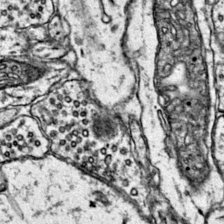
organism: Mouse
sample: Primary visual cortex